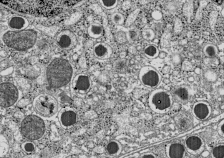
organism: C57BL Mouse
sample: Pancreatic islet